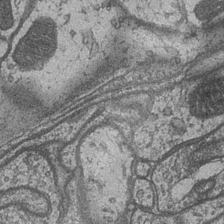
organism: Drosophila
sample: Optic medulla